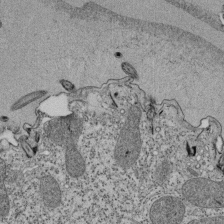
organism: Tetrahymena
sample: Cilia in tetrahymena